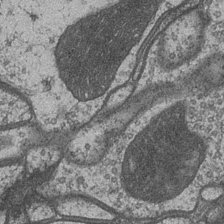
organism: Drosophila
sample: Optic medulla